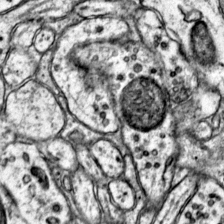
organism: Mouse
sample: Primary visual cortex